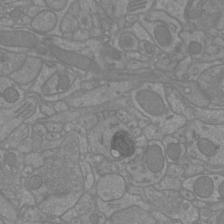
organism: Mouse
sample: Cortical neurons